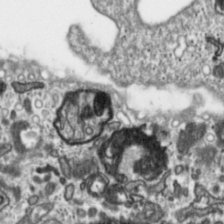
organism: Toxoplasma gondii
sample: Parasites in a vacuole inside a host cell